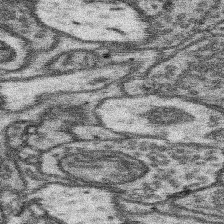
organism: Mouse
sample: Somatosensory cortex neuropil